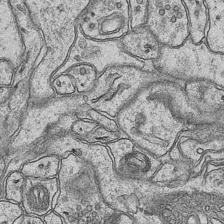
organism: Mouse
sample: CA1 Hippocampus